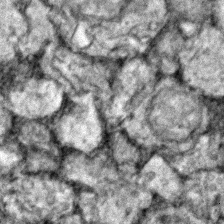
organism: Zebrafish